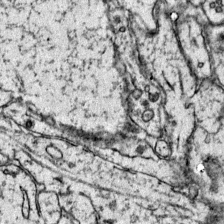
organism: Mouse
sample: Primary visual cortex